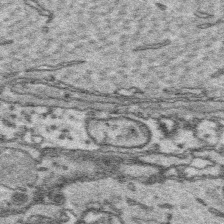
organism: Platynereis dumerilii